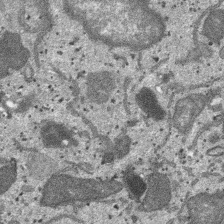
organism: Human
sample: Lung epithelial cells infected with SARS-CoV-2